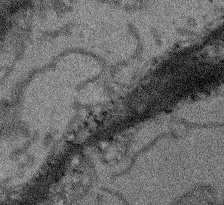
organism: Arabidopsis thaliana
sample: Root tip